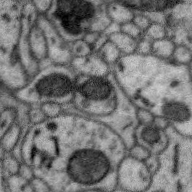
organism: Zebra finch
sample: Brain